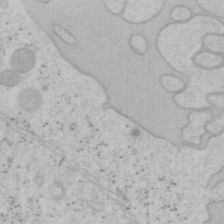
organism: Human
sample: HeLa cells